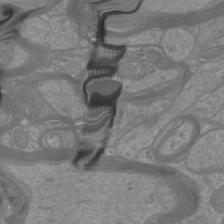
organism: Mouse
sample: Cortical neurons